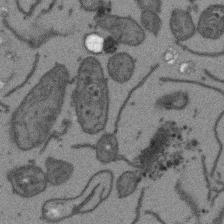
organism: Arabidopsis thaliana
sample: Root tip